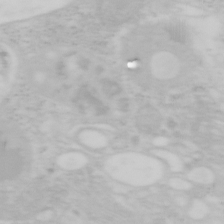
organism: Mouse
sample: OT-I killer T cells with ID8 ovarian cancer cells